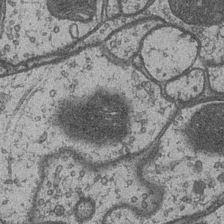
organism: Drosophila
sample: Optic medulla